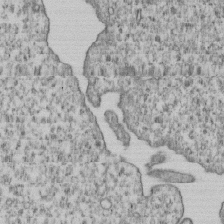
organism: Human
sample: MDA-MB-231 cells